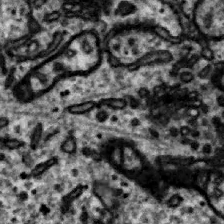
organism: Human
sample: HeLa cells